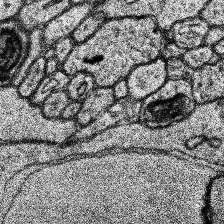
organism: Human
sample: Temporal Lobe